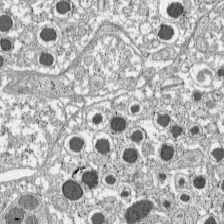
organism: C57BL Mouse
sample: Pancreatic islet